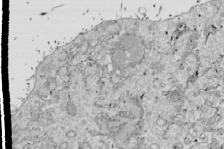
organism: Drosophila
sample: Cell division; meiosis; drosophila spermatocytes